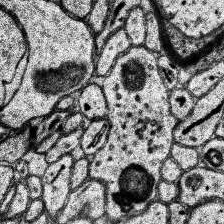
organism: Human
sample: Temporal Lobe